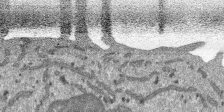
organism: Human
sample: Lung epithelial cells infected with SARS-CoV-2